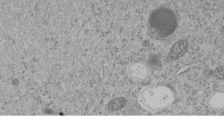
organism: C. elegans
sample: C. elegans embryo early stage